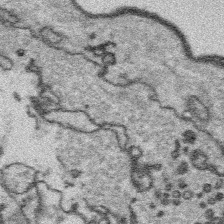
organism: Platynereis dumerilii